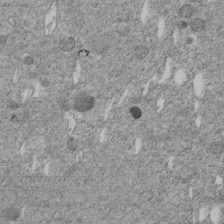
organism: C. elegans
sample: C. elegans embryo early stage